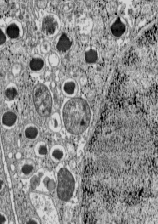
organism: C57BL Mouse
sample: Pancreatic islet